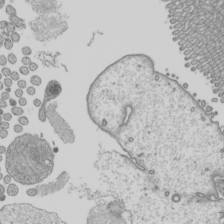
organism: Mouse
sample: Cilia; mouse epididymis